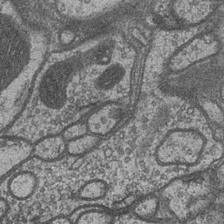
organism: Drosophila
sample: Optic medulla